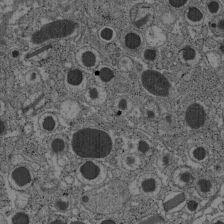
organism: C57BL Mouse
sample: Pancreatic islet